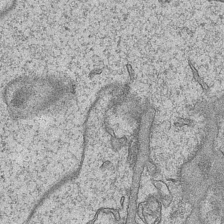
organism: Mouse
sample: CA1 Hippocampus